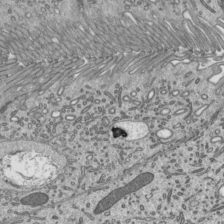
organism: Mouse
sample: Mouse epididymis efferent ductule cilia